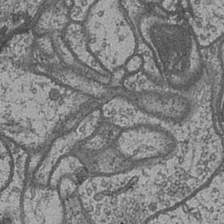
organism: Drosophila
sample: Optic medulla